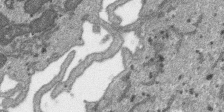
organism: Human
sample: Lung epithelial cells infected with SARS-CoV-2